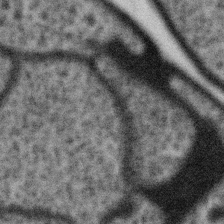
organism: Gemmata obscuriglobus